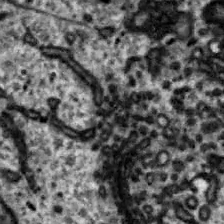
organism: Human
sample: HeLa cells